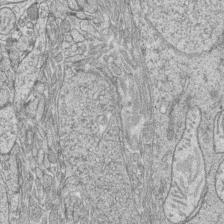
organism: Zebrafish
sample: synaptic ribbons in rod cells and cone cells